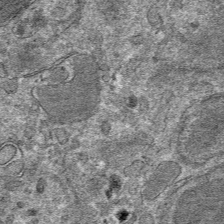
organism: Mouse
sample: Mouse hepatocytes